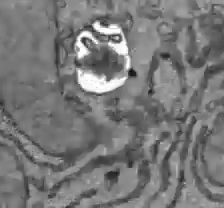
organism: C57BL Mouse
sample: Liver